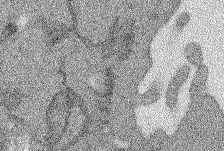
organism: Human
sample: HeLa cells